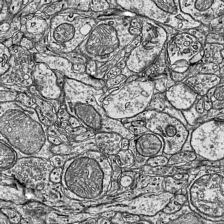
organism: Mouse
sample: Visual Cortex